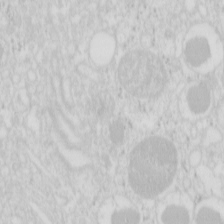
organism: Mouse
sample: Pancreas